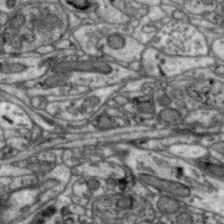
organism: Zebra finch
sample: Brain